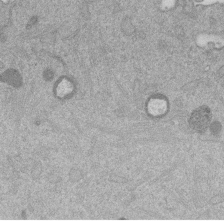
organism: Mouse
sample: Dividing mouse embryo 1 cell stage